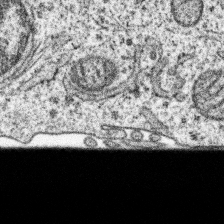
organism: Human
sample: HeLa cells